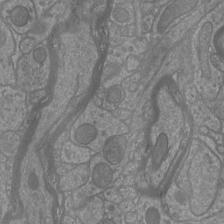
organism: Mouse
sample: Cortical neurons